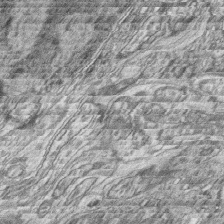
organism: Zebrafish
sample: synaptic ribbons in rod cells and cone cells